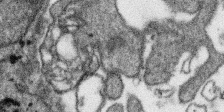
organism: Human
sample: Lung epithelial cells infected with SARS-CoV-2